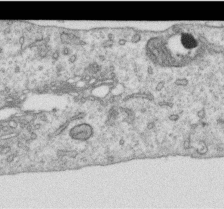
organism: Human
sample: Centriole in RPE cells